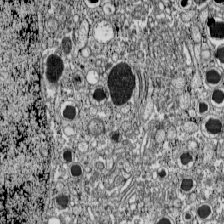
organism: C57BL Mouse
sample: Pancreatic islet